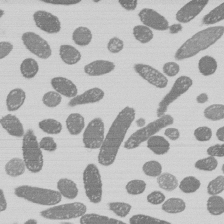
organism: E. coli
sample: Bacterial nucleoid